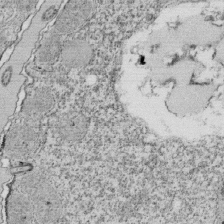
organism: Tetrahymena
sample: Cilia in tetrahymena